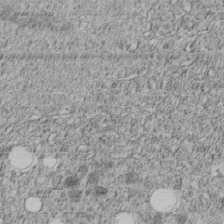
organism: C. elegans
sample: C. elegans embryo early stage